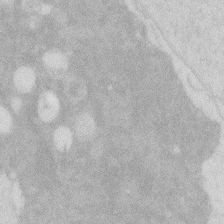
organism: Zebrafish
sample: Macrophage